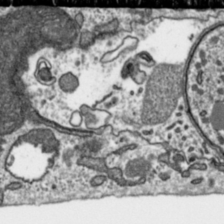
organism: Toxoplasma gondii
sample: Parasites in a vacuole inside a host cell